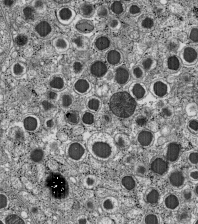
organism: C57BL Mouse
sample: Pancreatic islet